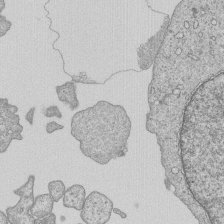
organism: Human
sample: MDA-MB-231 cells